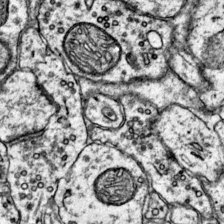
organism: Mouse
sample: Primary visual cortex